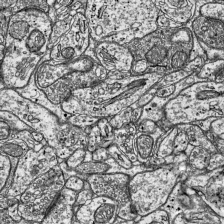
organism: Mouse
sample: Visual Cortex